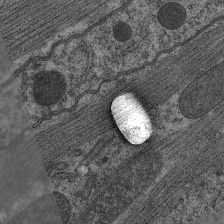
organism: C. elegans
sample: Pharynx